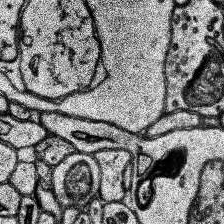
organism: Human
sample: Temporal Lobe